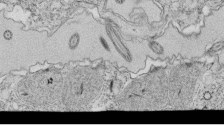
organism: Tetrahymena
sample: Cilia in tetrahymena